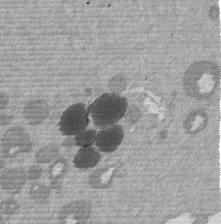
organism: Mouse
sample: Dividing mouse embryo 1 cell stage